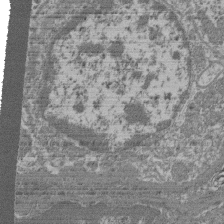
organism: Mouse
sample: Glomerulus